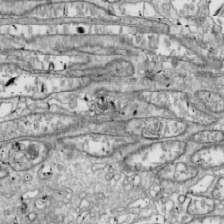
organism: Drosophila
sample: Cell division; meiosis; drosophila spermatocytes